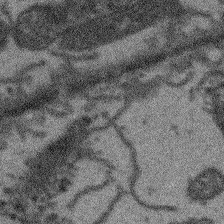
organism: Arabidopsis thaliana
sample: Root tip